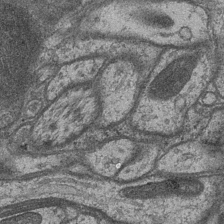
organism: Drosophila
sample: Optic medulla